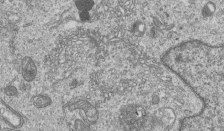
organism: Human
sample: MDA-MB-231 cells